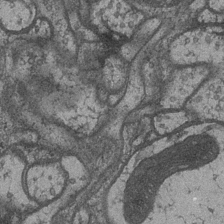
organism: Drosophila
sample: Optic medulla